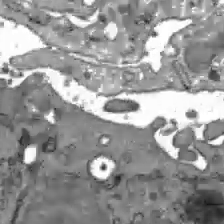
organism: C57BL Mouse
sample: Liver